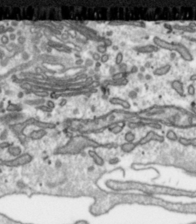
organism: Toxoplasma gondii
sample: Parasites in a vacuole inside a host cell